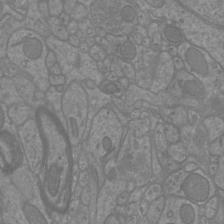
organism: Mouse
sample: Cortical neurons